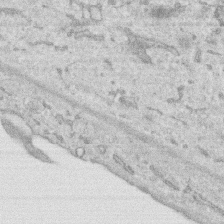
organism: Human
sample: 1205lu cells